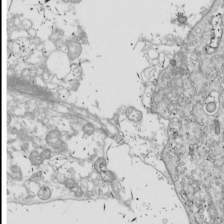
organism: Drosophila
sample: Cell division; meiosis; drosophila spermatocytes